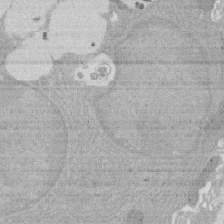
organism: Rat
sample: Salivary granule